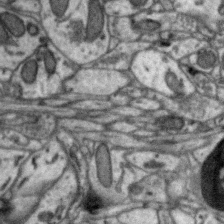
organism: Zebra finch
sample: Brain